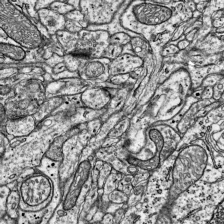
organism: Mouse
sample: Visual Cortex